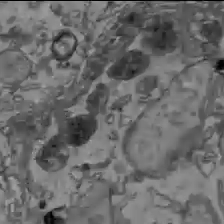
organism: C57BL Mouse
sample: Liver